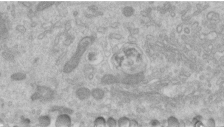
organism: Human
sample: Centriole in RPE cells